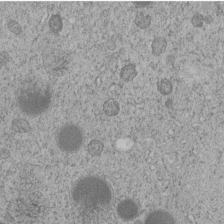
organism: C. elegans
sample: C. elegans embryo early stage